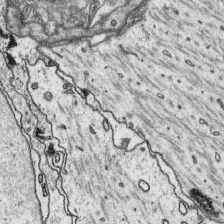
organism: Platynereis dumerilii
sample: Parapodia